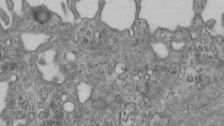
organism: Mouse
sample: Centriole in ependymal cells